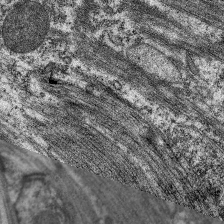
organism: C. elegans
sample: Pharynx